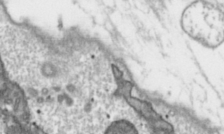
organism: Toxoplasma gondii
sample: Parasites in a vacuole inside a host cell